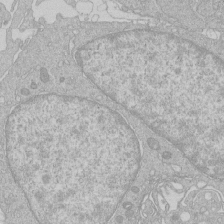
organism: Human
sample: Macrophage cells